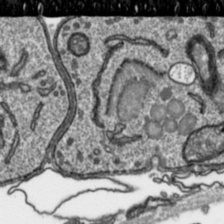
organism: Toxoplasma gondii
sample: Parasites in a vacuole inside a host cell